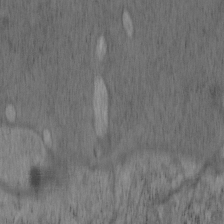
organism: Human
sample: HeLa cells